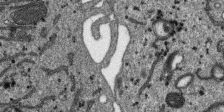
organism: Human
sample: Lung epithelial cells infected with SARS-CoV-2